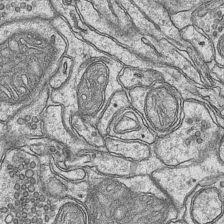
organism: Mouse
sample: CA1 Hippocampus